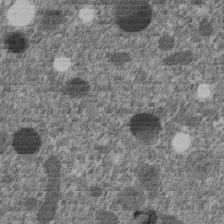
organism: C. elegans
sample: C. elegans embryo early stage